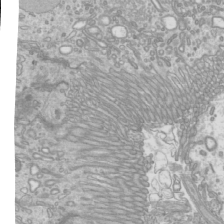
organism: Mouse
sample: Cilia; mouse epididymis